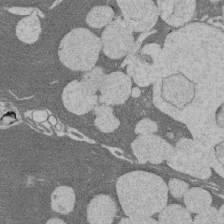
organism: Rat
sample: Salivary granule